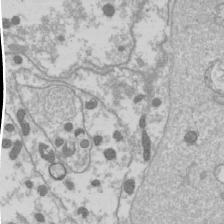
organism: Drosophila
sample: Cell division; meiosis; drosophila spermatocytes